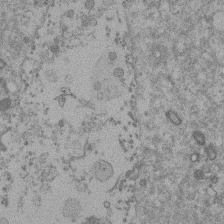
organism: Mouse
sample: Dividing mouse embryo 1 cell stage